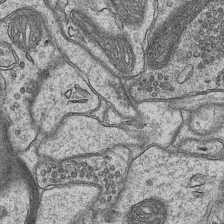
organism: Mouse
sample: CA1 Hippocampus